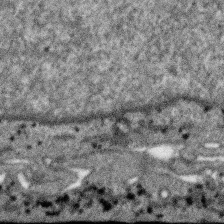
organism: Human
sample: Lung epithelial cells infected with SARS-CoV-2